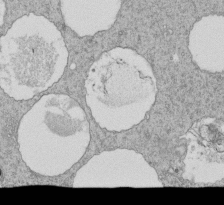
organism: Tetrahymena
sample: Cilia in tetrahymena